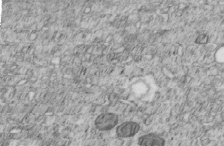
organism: C. elegans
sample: C. elegans embryo early stage